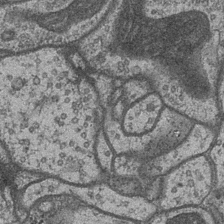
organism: Drosophila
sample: Optic medulla